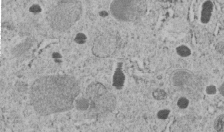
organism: C. elegans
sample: C. elegans embryo early stage